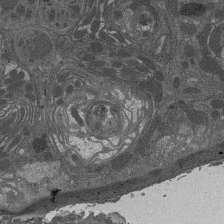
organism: Drosophila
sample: Antenna